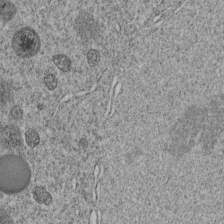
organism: C. elegans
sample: C. elegans embryo early stage